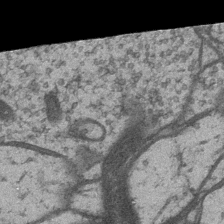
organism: Drosophila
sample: Optic medulla